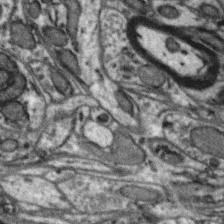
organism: Zebra finch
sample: Brain